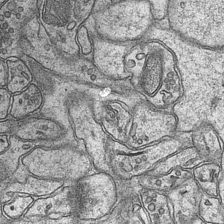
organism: Mouse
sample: CA1 Hippocampus